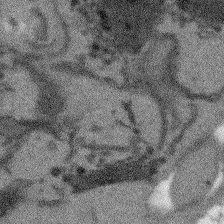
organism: Arabidopsis thaliana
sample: Root tip